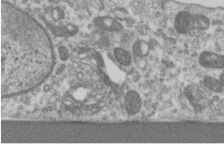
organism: Human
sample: Centriole in RPE cells